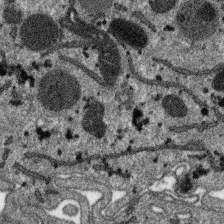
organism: Human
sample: Lung epithelial cells infected with SARS-CoV-2